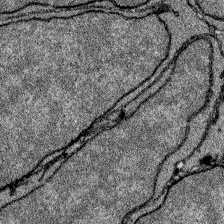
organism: Zebrafish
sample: Larval olfactory bulb